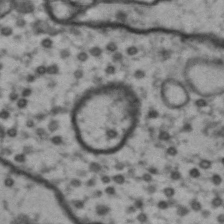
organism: Drosophila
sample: Brain